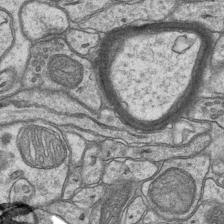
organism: Mouse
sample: CA1 Hippocampus